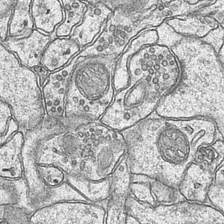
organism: Mouse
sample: CA1 Hippocampus